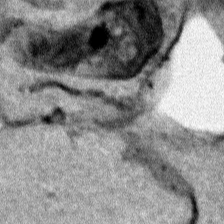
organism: Human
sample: Mitochondria in HCT116 cells